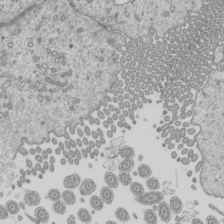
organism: Mouse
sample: Cilia; mouse epididymis